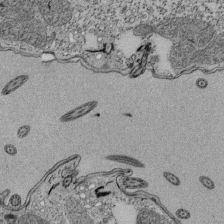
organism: Tetrahymena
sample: Cilia in tetrahymena